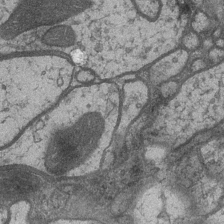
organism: Drosophila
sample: Optic medulla